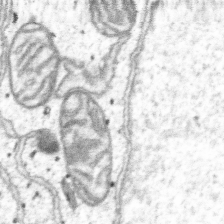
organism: Human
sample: HeLa cells